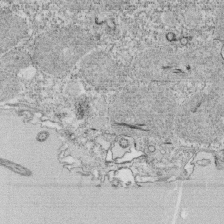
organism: Tetrahymena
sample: Cilia in tetrahymena